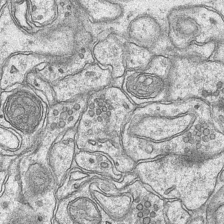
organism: Mouse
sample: CA1 Hippocampus